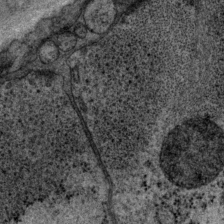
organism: P. pacificus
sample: Pharynx